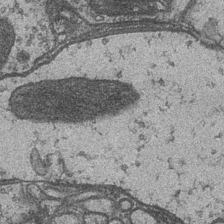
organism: Drosophila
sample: Optic medulla